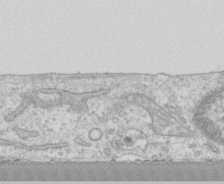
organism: Human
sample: CRL-1474